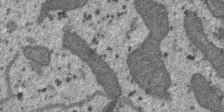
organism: Human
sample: Lung epithelial cells infected with SARS-CoV-2